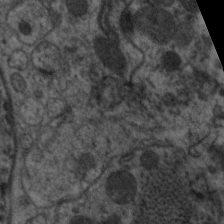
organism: C. elegans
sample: Pharynx